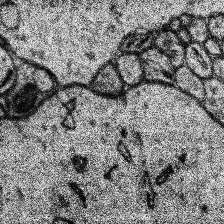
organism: Human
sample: Temporal Lobe